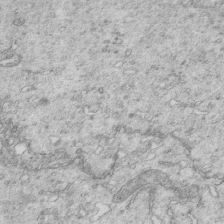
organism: Mouse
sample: Multiciliated cells